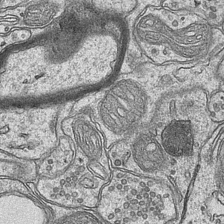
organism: Mouse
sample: CA1 Hippocampus